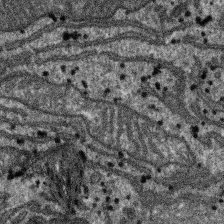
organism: Human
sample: Lung epithelial cells infected with SARS-CoV-2